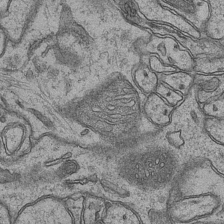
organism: Mouse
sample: CA1 Hippocampus